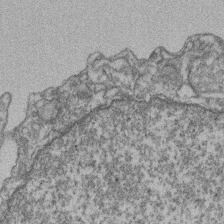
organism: Mouse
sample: T cell stromal cell synapse